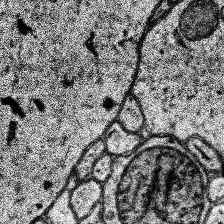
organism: Human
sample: Temporal Lobe